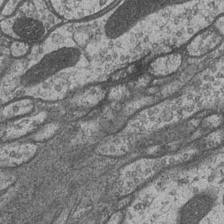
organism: Drosophila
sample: Optic medulla